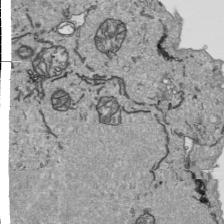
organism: Human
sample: Mitochondria in HCT116 cells